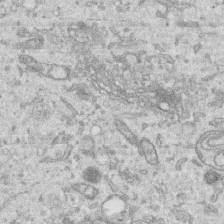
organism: Human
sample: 1205lu cells